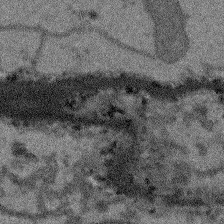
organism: Arabidopsis thaliana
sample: Root tip